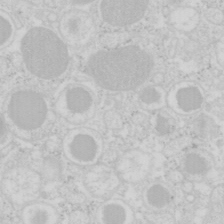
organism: Mouse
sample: Pancreas